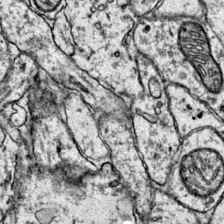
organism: Mouse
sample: Primary visual cortex